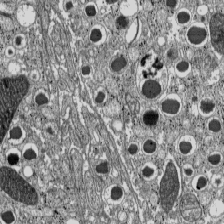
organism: C57BL Mouse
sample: Pancreatic islet